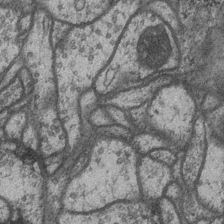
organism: Drosophila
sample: Optic medulla